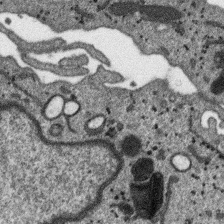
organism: Human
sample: Lung epithelial cells infected with SARS-CoV-2